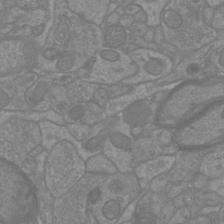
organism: Mouse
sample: Cortical neurons